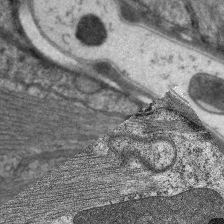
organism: C. elegans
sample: Pharynx